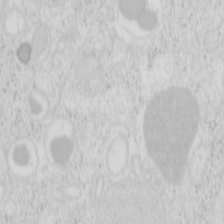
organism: Mouse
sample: Pancreas